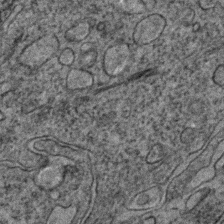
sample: Trachea